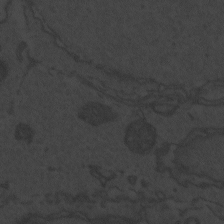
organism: Zebrafish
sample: Macrophage infected with Toxoplasma gondii